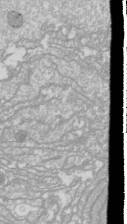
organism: Drosophila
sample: Cell division; meiosis; drosophila spermatocytes